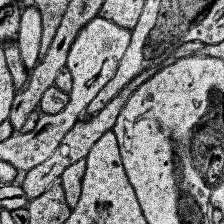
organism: Human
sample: Temporal Lobe